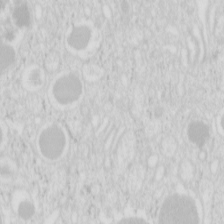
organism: Mouse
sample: Pancreas